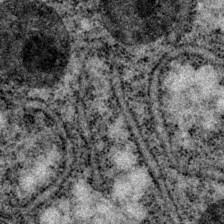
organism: P. pacificus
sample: Pharynx